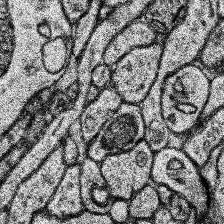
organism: Human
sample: Temporal Lobe